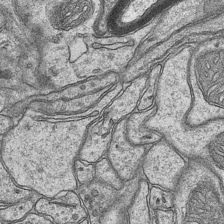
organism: Mouse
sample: CA1 Hippocampus